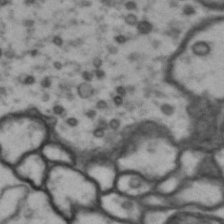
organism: Drosophila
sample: Brain